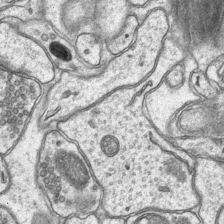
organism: Mouse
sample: CA1 Hippocampus